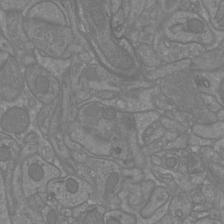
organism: Mouse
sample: Cortical neurons